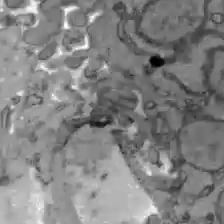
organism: C57BL Mouse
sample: Liver